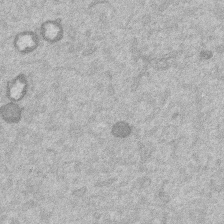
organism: Mouse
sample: Dividing mouse embryo 1 cell stage